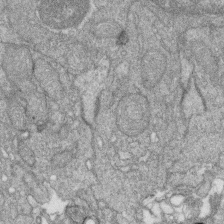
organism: Zebrafish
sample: Cilia; retinal pigment epithelium